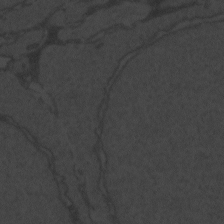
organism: Zebrafish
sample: Macrophage infected with Toxoplasma gondii